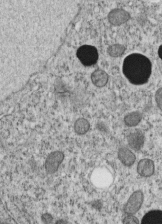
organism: C. elegans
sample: C. elegans embryo early stage